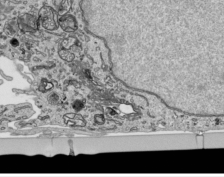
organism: Human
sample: Mitochondria in HCT116 cells